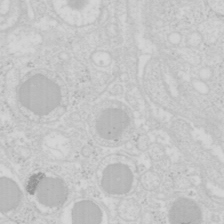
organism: Mouse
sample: Pancreas